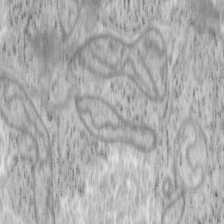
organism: Human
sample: HeLa cells